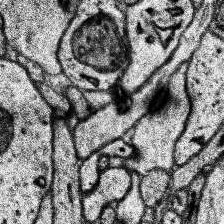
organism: Human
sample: Temporal Lobe